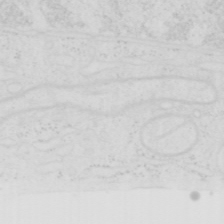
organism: Human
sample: SUM-159 cell